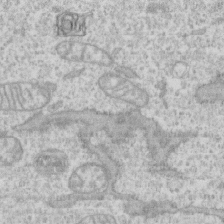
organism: Human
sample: CRL-1474